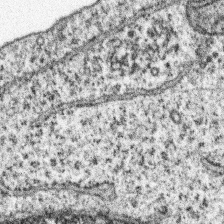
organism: Human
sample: HeLa cells